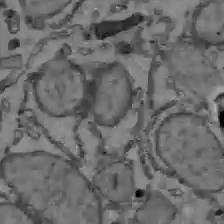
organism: C57BL Mouse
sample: Liver